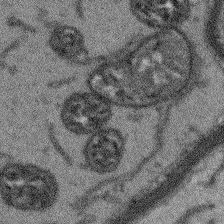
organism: Arabidopsis thaliana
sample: Root tip